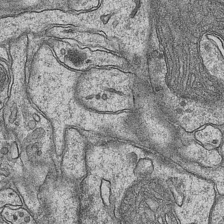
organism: Mouse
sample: CA1 Hippocampus